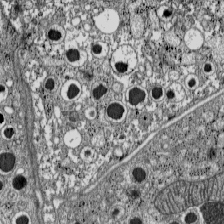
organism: C57BL Mouse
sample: Pancreatic islet